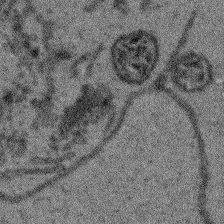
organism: Arabidopsis thaliana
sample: Root tip